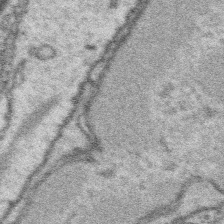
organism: Platynereis dumerilii